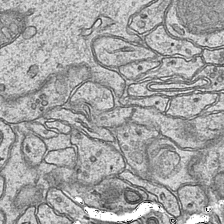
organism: Mouse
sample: CA1 Hippocampus